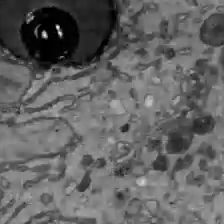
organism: C57BL Mouse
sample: Liver